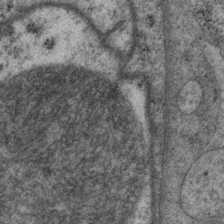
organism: P. pacificus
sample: Pharynx